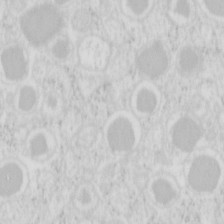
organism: Mouse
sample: Pancreas